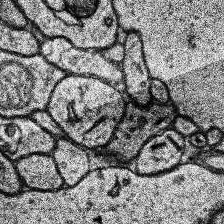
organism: Human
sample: Temporal Lobe